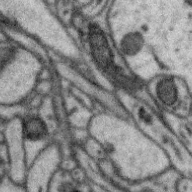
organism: Zebra finch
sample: Brain